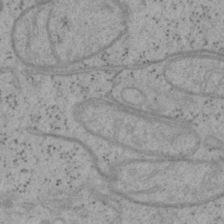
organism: Human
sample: HeLa cells